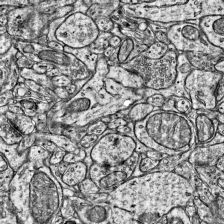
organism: Mouse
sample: Visual Cortex